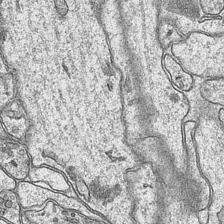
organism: Mouse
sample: CA1 Hippocampus